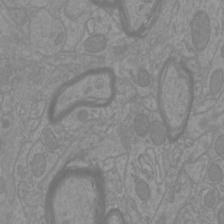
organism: Mouse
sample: Cortical neurons